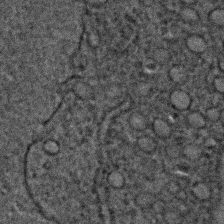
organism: C. elegans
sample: C. elegans embryo